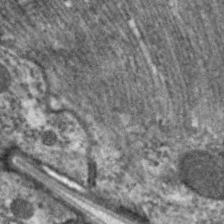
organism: C. elegans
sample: Pharynx